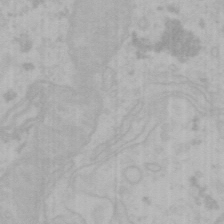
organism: Mouse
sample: Choroid plexus